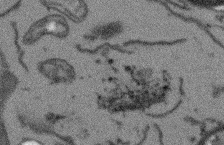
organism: Arabidopsis thaliana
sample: Root tip